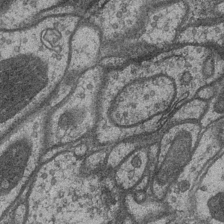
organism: Drosophila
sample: Optic medulla